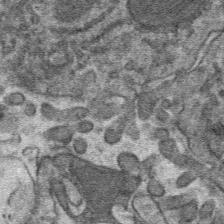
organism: Mouse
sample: Mouse hepatocytes